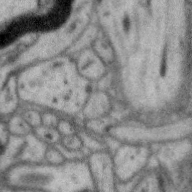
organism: Zebra finch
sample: Brain